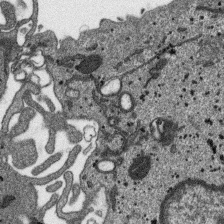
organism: Human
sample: Lung epithelial cells infected with SARS-CoV-2